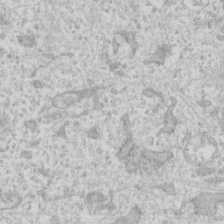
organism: Human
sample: Fibroblast cells